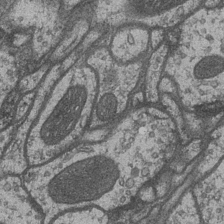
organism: Drosophila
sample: Optic medulla